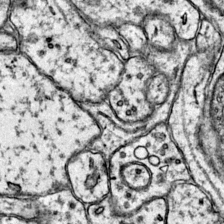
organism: Mouse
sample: Primary visual cortex